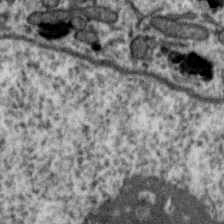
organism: Zebra finch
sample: Brain